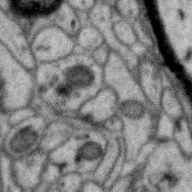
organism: Zebra finch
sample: Brain